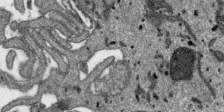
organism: Human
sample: Lung epithelial cells, uninfected (mock) control